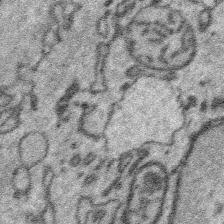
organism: Platynereis dumerilii